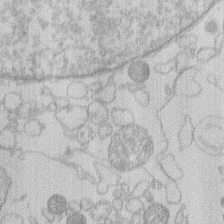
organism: Human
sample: Macrophage cells